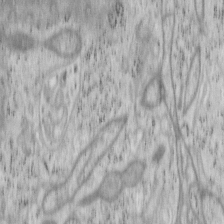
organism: Human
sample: HeLa cells